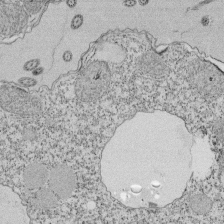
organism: Tetrahymena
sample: Cilia in tetrahymena